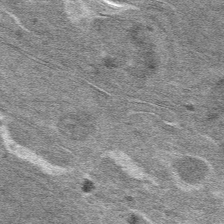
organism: Mouse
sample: Mouse hepatocytes